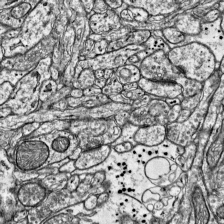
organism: Mouse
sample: Visual Cortex